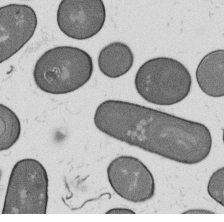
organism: B. subtilis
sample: Bacterial spore